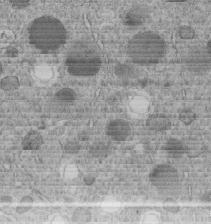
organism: C. elegans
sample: C. elegans embryo early stage